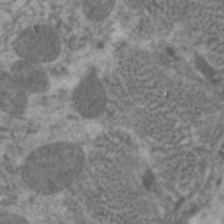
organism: C. elegans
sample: Pharynx